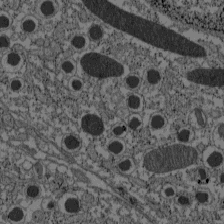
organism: C57BL Mouse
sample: Pancreatic islet